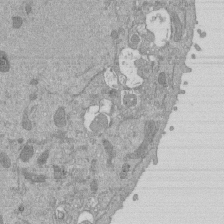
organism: Mouse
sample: ED-1 cell nuclei; centrioles